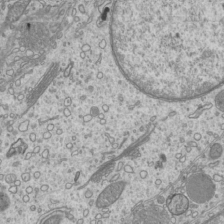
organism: Mouse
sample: Cilia; mouse epididymis